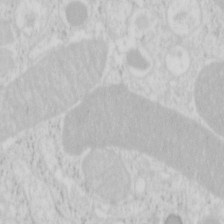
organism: Mouse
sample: Pancreas